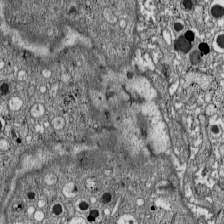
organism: C57BL Mouse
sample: Pancreatic islet